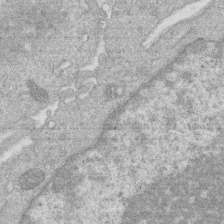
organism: Human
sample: Macrophage cells